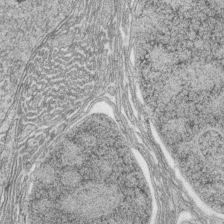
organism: Zebrafish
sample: synaptic ribbons in rod cells and cone cells